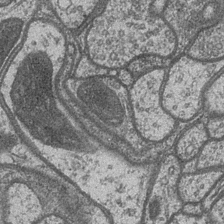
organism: Drosophila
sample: Optic medulla